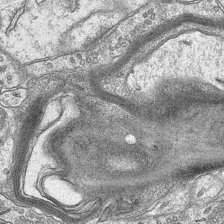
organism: Mouse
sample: CA1 Hippocampus